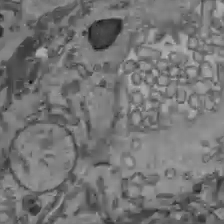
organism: C57BL Mouse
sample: Liver